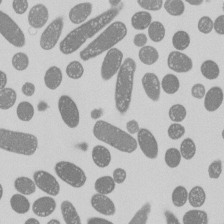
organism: E. coli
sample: Bacterial nucleoid